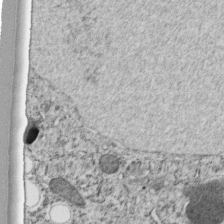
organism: C. elegans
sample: C. elegans embryo early stage